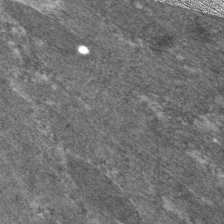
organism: C. elegans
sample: Pharynx